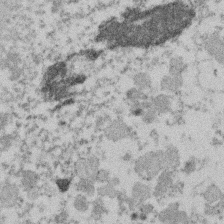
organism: Mouse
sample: Dividing mouse embryo 1 cell stage